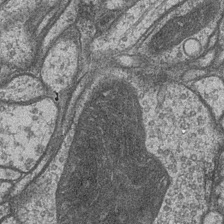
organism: Drosophila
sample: Optic medulla